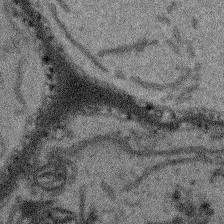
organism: Arabidopsis thaliana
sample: Root tip